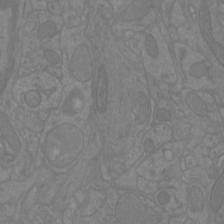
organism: Mouse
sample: Cortical neurons